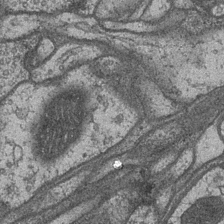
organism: Drosophila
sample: Optic medulla